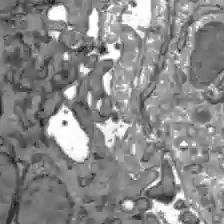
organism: C57BL Mouse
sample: Liver